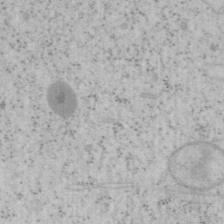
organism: Human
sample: HeLa cells